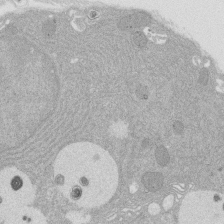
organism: Rat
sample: Salivary granule